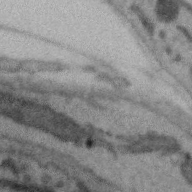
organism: Zebra finch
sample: Brain